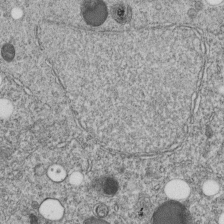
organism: C. elegans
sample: C. elegans embryo early stage